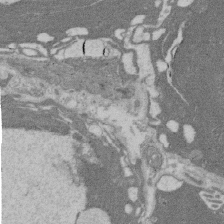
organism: Rat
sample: Salivary granule